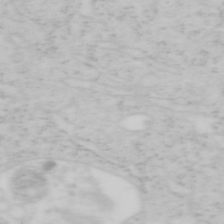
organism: Mouse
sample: OT-I killer T cells with ID8 ovarian cancer cells